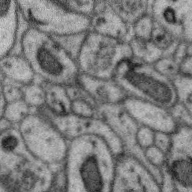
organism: Zebra finch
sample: Brain